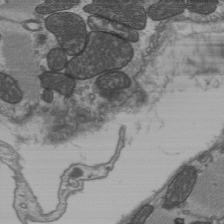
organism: C57BL Mouse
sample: Heart